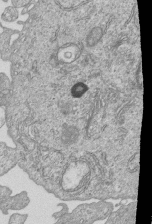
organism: Human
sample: MDA-MB-231 cells